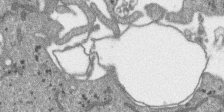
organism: Human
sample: Lung epithelial cells infected with SARS-CoV-2